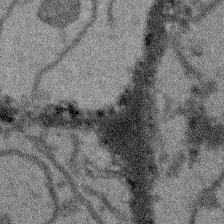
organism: Arabidopsis thaliana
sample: Root tip